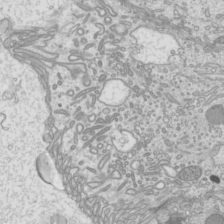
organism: Mouse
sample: Cilia; mouse epididymis